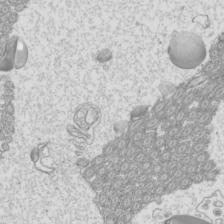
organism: Mouse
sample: Cilia; mouse epididymis